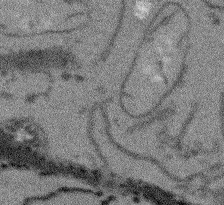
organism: Arabidopsis thaliana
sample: Root tip